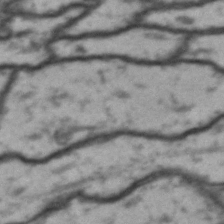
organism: Drosophila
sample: Brain